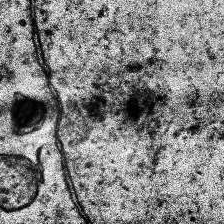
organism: Human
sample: Temporal Lobe